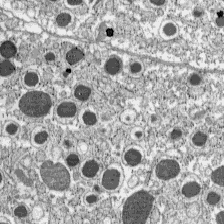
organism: C57BL Mouse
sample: Pancreatic islet